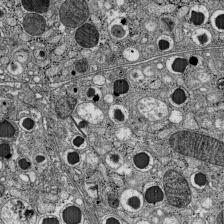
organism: C57BL Mouse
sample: Pancreatic islet